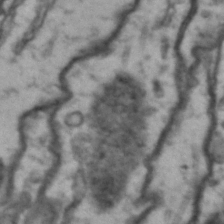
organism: Drosophila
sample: Brain